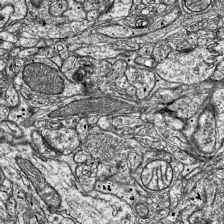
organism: Mouse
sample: Visual Cortex